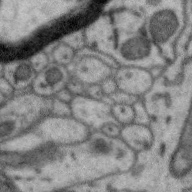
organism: Zebra finch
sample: Brain